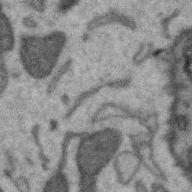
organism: Zebra finch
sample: Brain